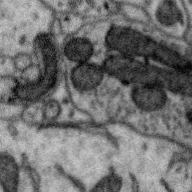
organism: Zebra finch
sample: Brain